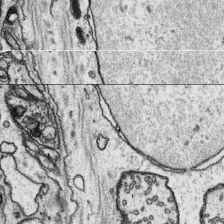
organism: Platynereis dumerilii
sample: Parapodia